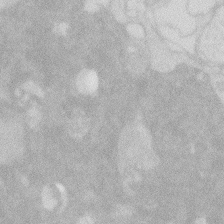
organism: Zebrafish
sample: Macrophage